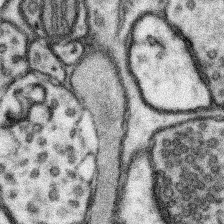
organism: Mouse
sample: Somatosensory cortex neuropil